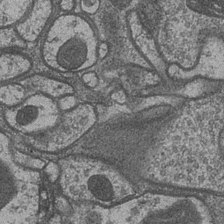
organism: Drosophila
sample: Optic medulla